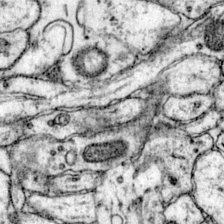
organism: Mouse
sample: Primary visual cortex